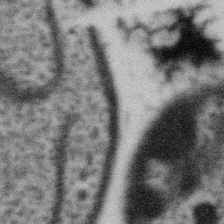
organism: Gemmata obscuriglobus